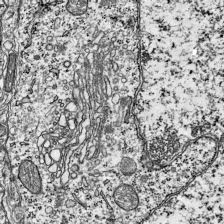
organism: Mouse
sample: Visual Cortex